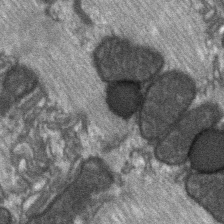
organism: C57BL Mouse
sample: Soleus